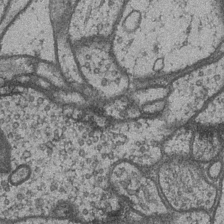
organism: Drosophila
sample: Optic medulla